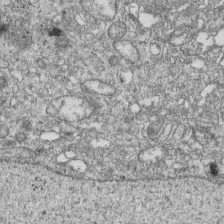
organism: Human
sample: HeLa cell HIV synapse